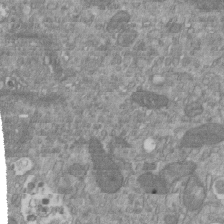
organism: Mouse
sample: ED-1 cell nuclei; centrioles